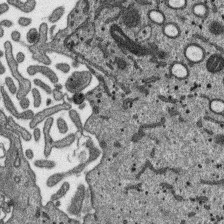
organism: Human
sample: Lung epithelial cells infected with SARS-CoV-2